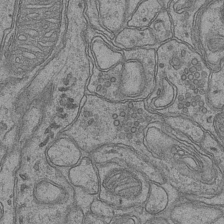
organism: Mouse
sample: CA1 Hippocampus